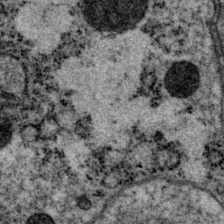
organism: P. pacificus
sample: Pharynx